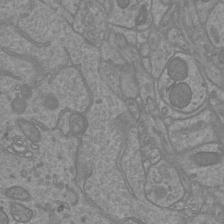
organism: Mouse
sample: Cortical neurons